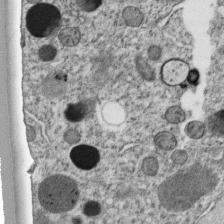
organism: C. elegans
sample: C. elegans embryo early stage